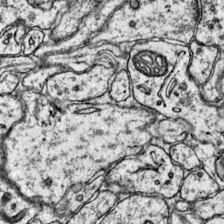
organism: Mouse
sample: Primary visual cortex